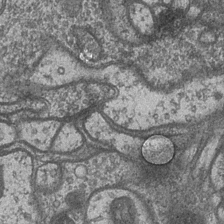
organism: Drosophila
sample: Optic medulla